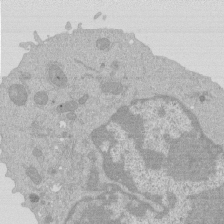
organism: Mouse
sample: Activated Pmel transgenic CD8+ T Cells